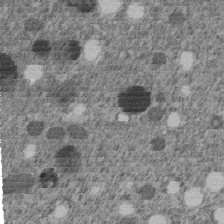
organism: C. elegans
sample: C. elegans embryo early stage